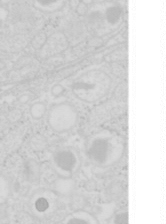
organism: Mouse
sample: Pancreas